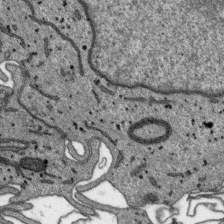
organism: Human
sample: Lung epithelial cells, uninfected (mock) control